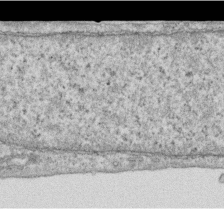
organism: Human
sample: Centriole in RPE cells